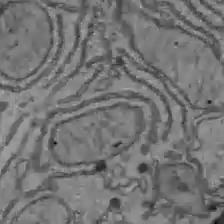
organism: C57BL Mouse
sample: Liver